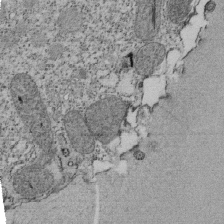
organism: Tetrahymena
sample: Cilia in tetrahymena